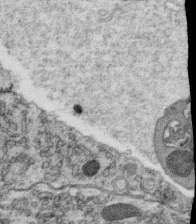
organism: C. elegans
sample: C. elegans oocyte; sperm cells